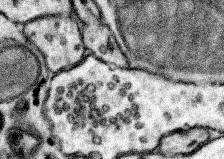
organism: Mouse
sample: Somatosensory cortex neuropil